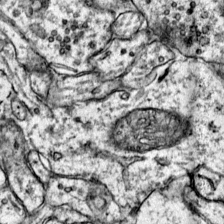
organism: Mouse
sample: Primary visual cortex